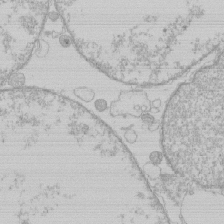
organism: Human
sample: Macrophage cells